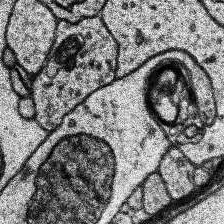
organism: Human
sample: Temporal Lobe